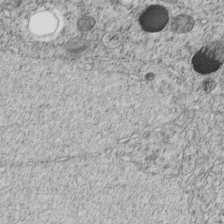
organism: C. elegans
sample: C. elegans embryo early stage